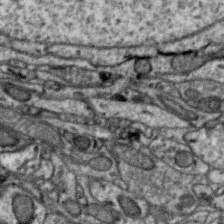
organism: Zebra finch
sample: Brain